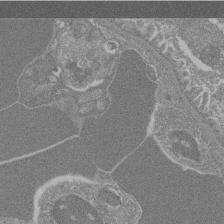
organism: Mouse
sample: Glomerulus